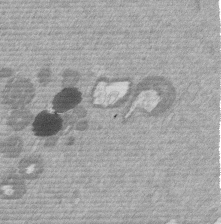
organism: Mouse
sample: Dividing mouse embryo 1 cell stage